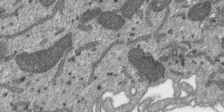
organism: Human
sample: Lung epithelial cells infected with SARS-CoV-2